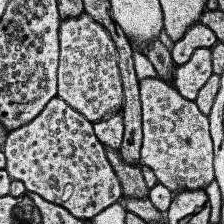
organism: Human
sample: Temporal Lobe